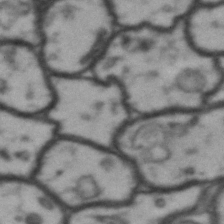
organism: Drosophila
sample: Brain